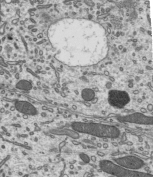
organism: Mouse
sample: Mouse epididymis efferent ductule cilia